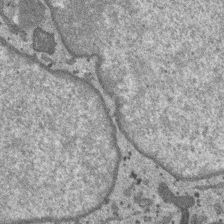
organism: Human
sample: Lung epithelial cells infected with SARS-CoV-2